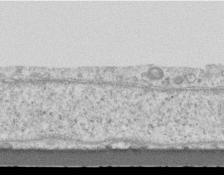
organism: Mouse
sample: Centriole in ependymal cells